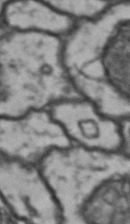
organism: Drosophila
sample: Brain